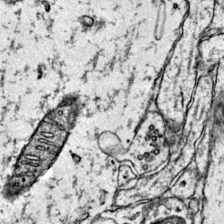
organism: Mouse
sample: Primary visual cortex